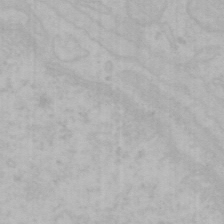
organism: Mouse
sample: Choroid plexus